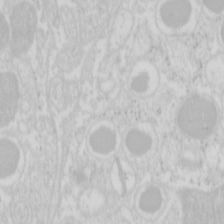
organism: Mouse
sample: Pancreas